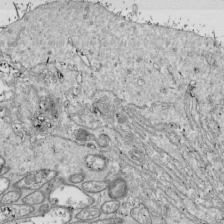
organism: Drosophila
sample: Cell division; meiosis; drosophila spermatocytes